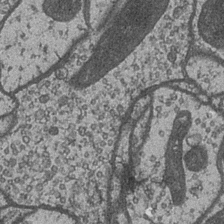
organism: Drosophila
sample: Optic medulla